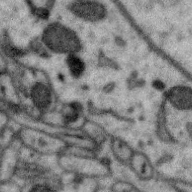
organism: Zebra finch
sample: Brain